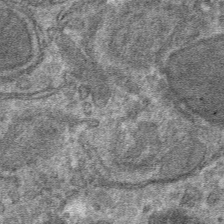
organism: Mouse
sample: Mouse hepatocytes